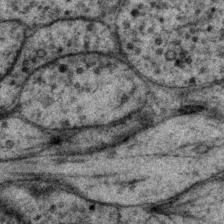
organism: P. pacificus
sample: Pharynx